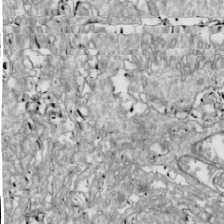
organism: Drosophila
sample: Cell division; meiosis; drosophila spermatocytes